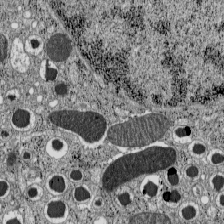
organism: C57BL Mouse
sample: Pancreatic islet